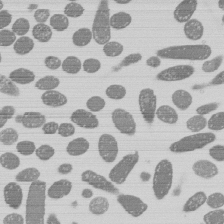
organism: E. coli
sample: Bacterial nucleoid